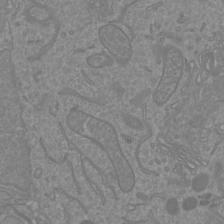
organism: Mouse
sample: Cortical neurons